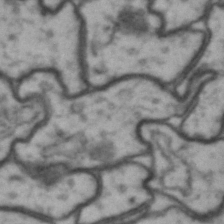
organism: Drosophila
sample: Brain